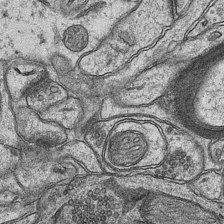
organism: Mouse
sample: CA1 Hippocampus